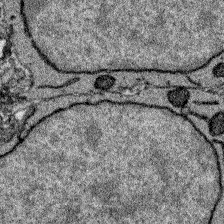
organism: Zebrafish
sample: Larval olfactory bulb